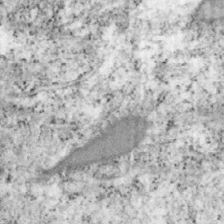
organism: Mouse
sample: OT-I killer T cells with ID8 ovarian cancer cells